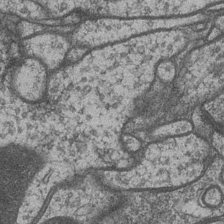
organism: Drosophila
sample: Optic medulla